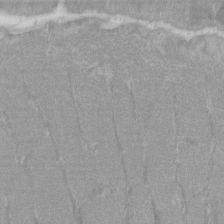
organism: C57BL Mouse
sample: Tibialis anterior muscle cell